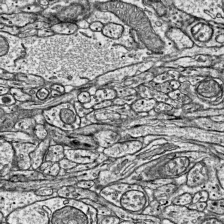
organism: Mouse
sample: Visual Cortex